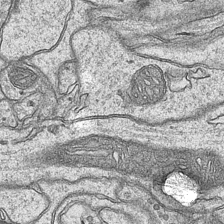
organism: Mouse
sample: CA1 Hippocampus